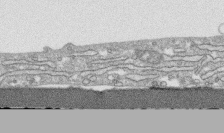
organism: Human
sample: CRL-1474